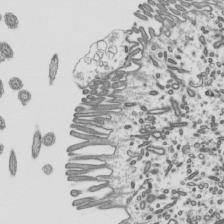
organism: Mouse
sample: Mouse epididymis efferent ductule cilia